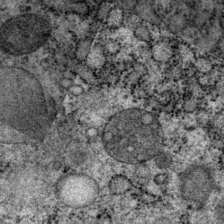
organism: P. pacificus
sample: Pharynx